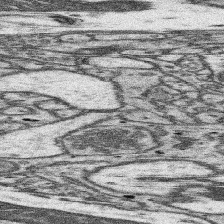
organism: Mouse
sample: Somatosensory cortex neuropil